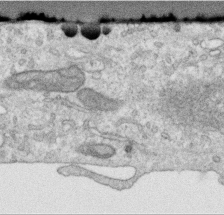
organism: Human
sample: Centriole in RPE cells